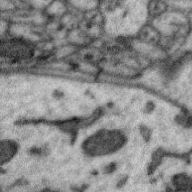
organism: Zebra finch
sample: Brain